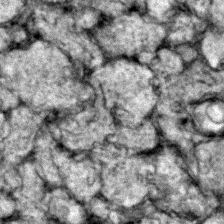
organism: Zebrafish